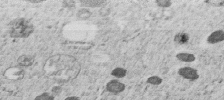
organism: C. elegans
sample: C. elegans embryo early stage